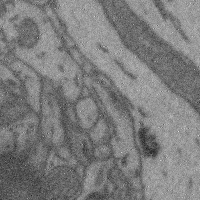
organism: Mouse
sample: Cerebral cortex